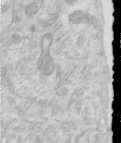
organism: Human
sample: Centriole in RPE cells